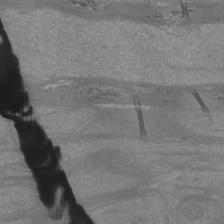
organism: Mouse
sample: Cortical neurons